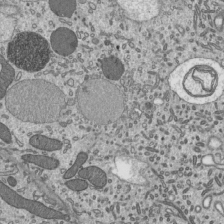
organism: Mouse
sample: Mouse epididymis efferent ductule cilia